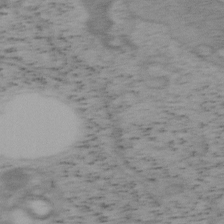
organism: Mouse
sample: OT-I killer T cells with ID8 ovarian cancer cells